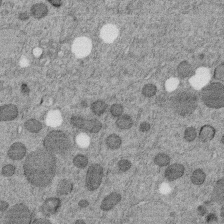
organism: C. elegans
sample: C. elegans embryo early stage